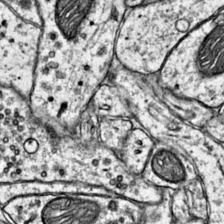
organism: Mouse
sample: Primary visual cortex